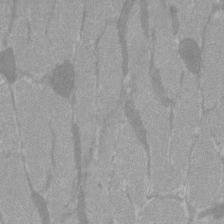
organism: C57BL Mouse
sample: Tibialis anterior muscle cell